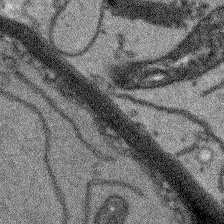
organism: Arabidopsis thaliana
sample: Root tip